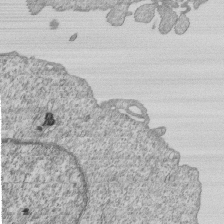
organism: Human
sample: MDA-MB-231 cells